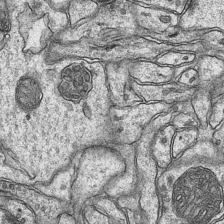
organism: Mouse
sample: CA1 Hippocampus